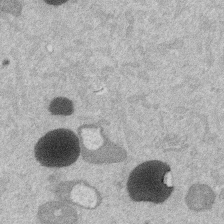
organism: Mouse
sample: Dividing mouse embryo 1 cell stage